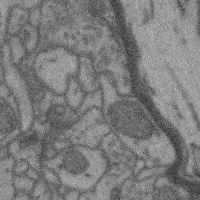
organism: Mouse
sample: Cerebral cortex